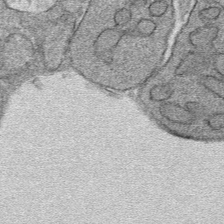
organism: Mouse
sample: Mouse hepatocytes